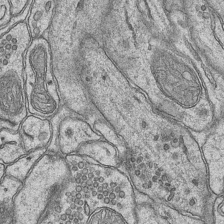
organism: Mouse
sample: CA1 Hippocampus